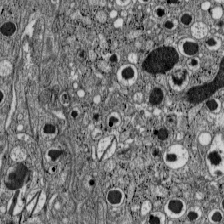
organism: C57BL Mouse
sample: Pancreatic islet